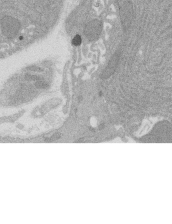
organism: Rat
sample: Salivary granule